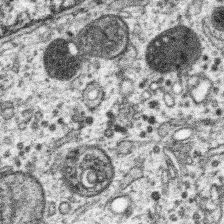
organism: Human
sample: HeLa cells